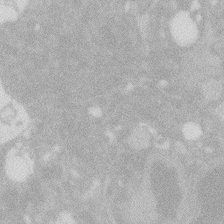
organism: Zebrafish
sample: Macrophage